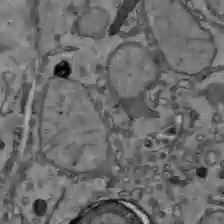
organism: C57BL Mouse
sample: Liver